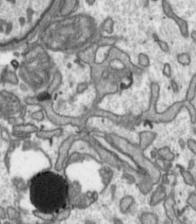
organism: Toxoplasma gondii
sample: Parasites in a vacuole inside a host cell